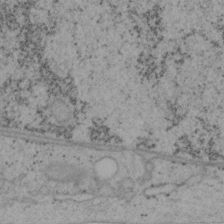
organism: Human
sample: HeLa cells